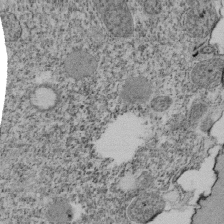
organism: Tetrahymena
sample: Cilia in tetrahymena